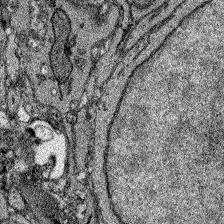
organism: Zebrafish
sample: Larval olfactory bulb